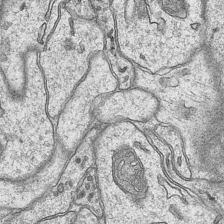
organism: Mouse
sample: CA1 Hippocampus